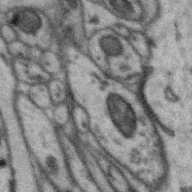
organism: Zebra finch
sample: Brain